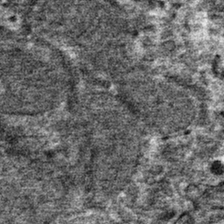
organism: Mouse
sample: Mouse hepatocytes